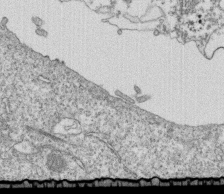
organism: Human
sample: HeLa cell HIV synapse